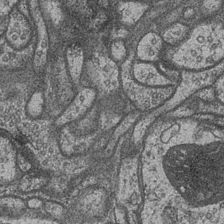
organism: Drosophila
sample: Optic medulla